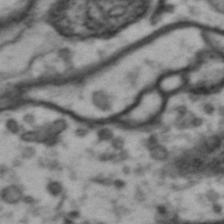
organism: Drosophila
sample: Brain